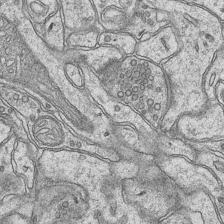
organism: Mouse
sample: CA1 Hippocampus